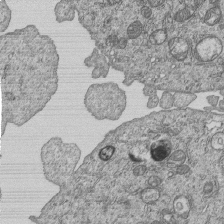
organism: Human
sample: MDA-MB-231 cells